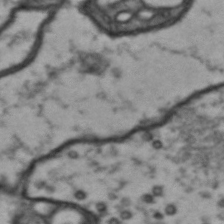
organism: Drosophila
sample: Brain